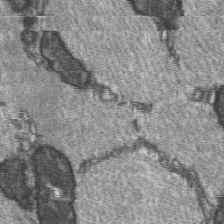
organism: C57BL Mouse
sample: Soleus